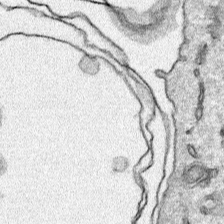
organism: Human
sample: Mitochondria in HCT116 cells